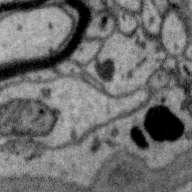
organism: Zebra finch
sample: Brain